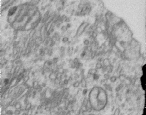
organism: Human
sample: Centriole in RPE cells